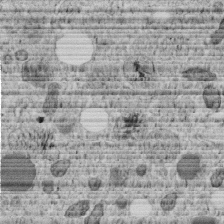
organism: C. elegans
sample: C. elegans embryo early stage